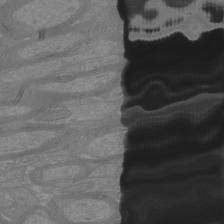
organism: Mouse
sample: Cortical neurons